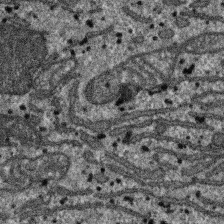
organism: Human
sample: Lung epithelial cells infected with SARS-CoV-2